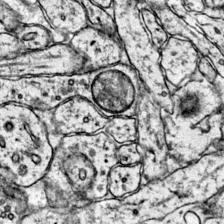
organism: Mouse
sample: Primary visual cortex